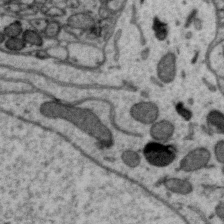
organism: Zebra finch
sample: Brain